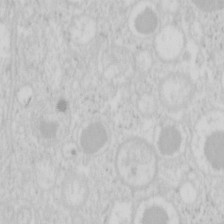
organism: Mouse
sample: Pancreas